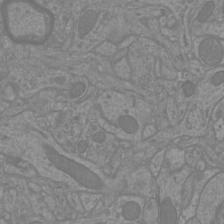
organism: Mouse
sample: Cortical neurons